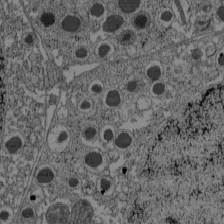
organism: C57BL Mouse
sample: Pancreatic islet